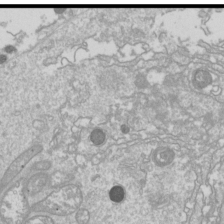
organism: Drosophila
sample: Cell division; meiosis; drosophila spermatocytes